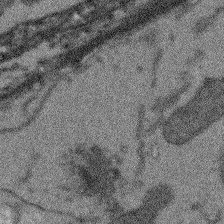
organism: Arabidopsis thaliana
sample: Root tip